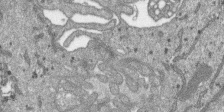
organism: Human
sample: Lung epithelial cells infected with SARS-CoV-2